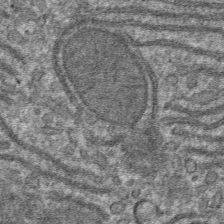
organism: Mouse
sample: Mouse hepatocytes